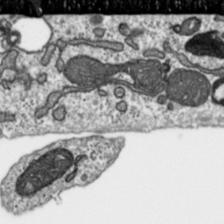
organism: Toxoplasma gondii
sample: Parasites in a vacuole inside a host cell